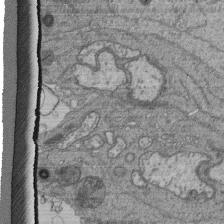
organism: Human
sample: Retinal organoid Rod and Cone cells